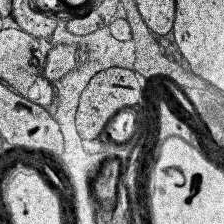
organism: Human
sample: Temporal Lobe